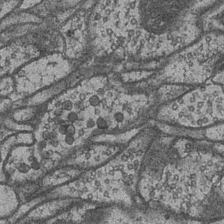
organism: Drosophila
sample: Optic medulla